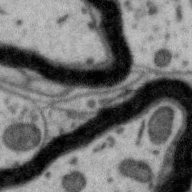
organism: Zebra finch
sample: Brain